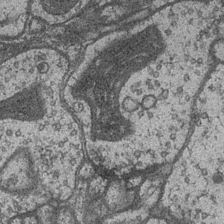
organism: Drosophila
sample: Optic medulla